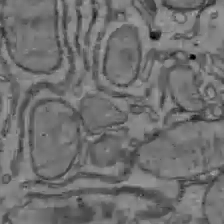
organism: C57BL Mouse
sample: Liver